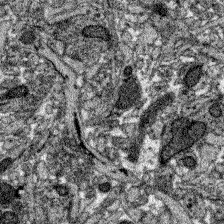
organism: Zebrafish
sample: Larval olfactory bulb